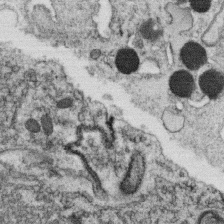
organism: C. elegans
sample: C. elegans oocyte; sperm cells